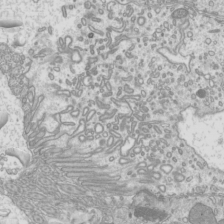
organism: Mouse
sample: Cilia; mouse epididymis